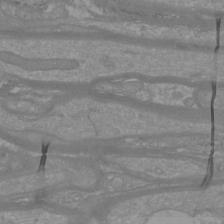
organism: Mouse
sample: Cortical neurons